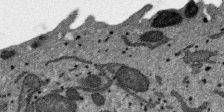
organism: Human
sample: Lung epithelial cells, uninfected (mock) control